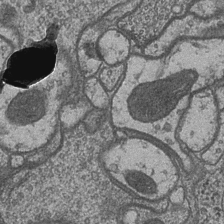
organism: Drosophila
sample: Optic medulla